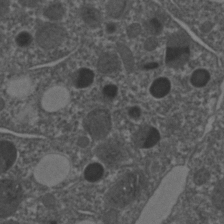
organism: C. elegans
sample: C. elegans embryo